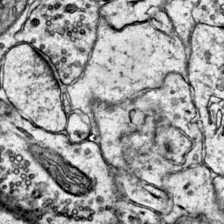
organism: Mouse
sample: Primary visual cortex